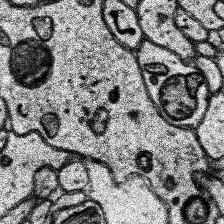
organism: Human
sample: Temporal Lobe